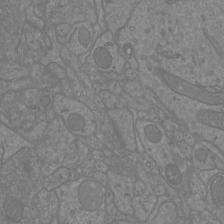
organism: Mouse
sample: Cortical neurons